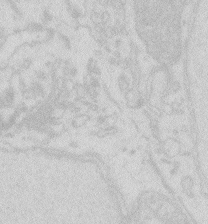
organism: Zebrafish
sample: Macrophage